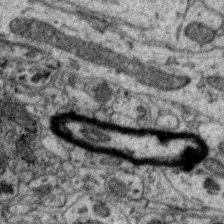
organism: Zebra finch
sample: Brain